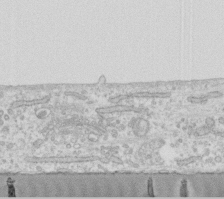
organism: Human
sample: Fibroblast cells